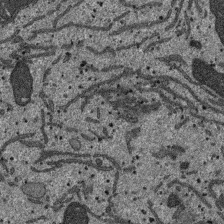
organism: Human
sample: Lung epithelial cells infected with SARS-CoV-2